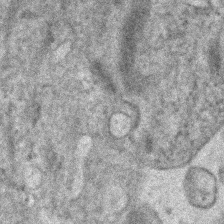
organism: Human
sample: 1205lu cells